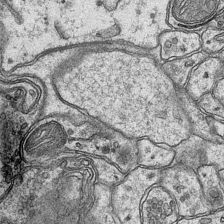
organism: Mouse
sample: CA1 Hippocampus